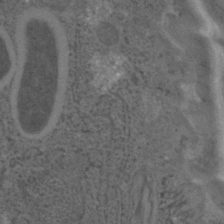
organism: C. elegans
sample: C. elegans embryo